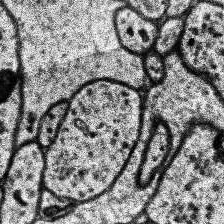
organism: Human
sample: Temporal Lobe